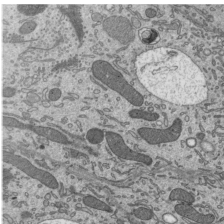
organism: Mouse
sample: Mouse epididymis efferent ductule cilia